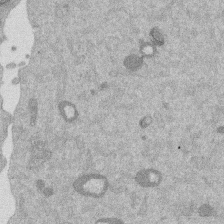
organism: Mouse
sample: Dividing mouse embryo 1 cell stage